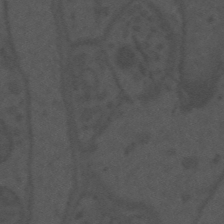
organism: Mouse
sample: Suprachiasmatic nucleus